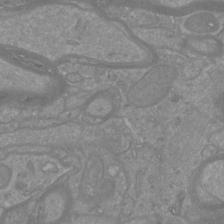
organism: Mouse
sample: Cortical neurons